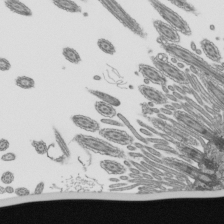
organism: Mouse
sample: Mouse epididymis efferent ductule cilia